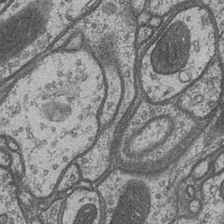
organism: Drosophila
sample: Optic medulla